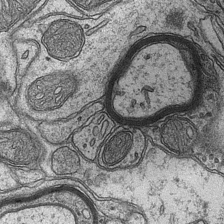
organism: Mouse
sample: CA1 Hippocampus